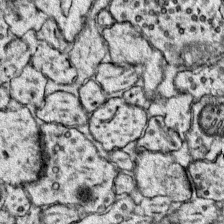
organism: Mouse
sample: Primary visual cortex